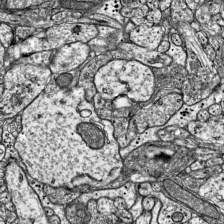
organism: Mouse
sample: Visual Cortex